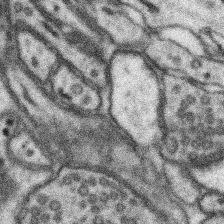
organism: Mouse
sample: Somatosensory cortex neuropil